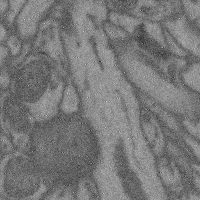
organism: Mouse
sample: Cerebral cortex